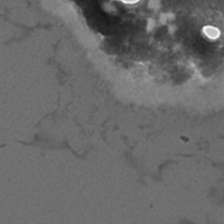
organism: C. elegans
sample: C. elegans embryo